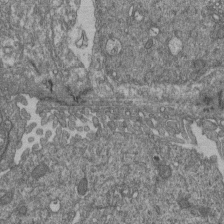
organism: Human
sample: Retinal organoid Rod and Cone cells